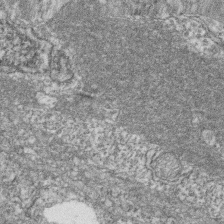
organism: Zebrafish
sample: Cilia; retinal pigment epithelium